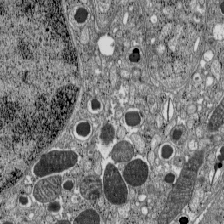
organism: C57BL Mouse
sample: Pancreatic islet